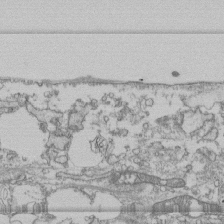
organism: Human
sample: Fibroblast cells